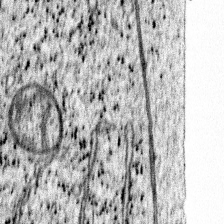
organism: Human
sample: HeLa cells